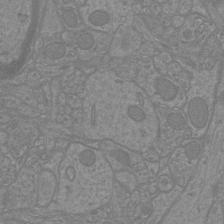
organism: Mouse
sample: Cortical neurons